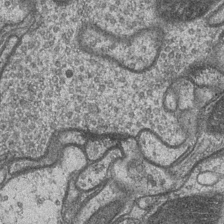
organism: Drosophila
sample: Optic medulla